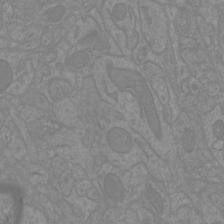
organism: Mouse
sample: Cortical neurons